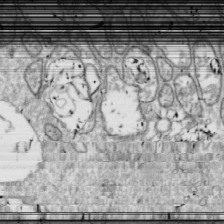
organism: Drosophila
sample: Cell division; meiosis; drosophila spermatocytes